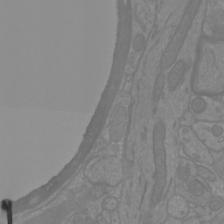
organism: Mouse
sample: Cortical neurons